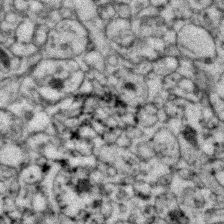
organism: Zebrafish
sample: Zebrafish embryo